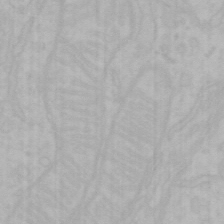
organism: Mouse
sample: Choroid plexus